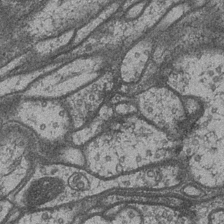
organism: Drosophila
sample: Optic medulla